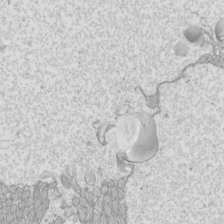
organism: Mouse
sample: Cilia; mouse epididymis